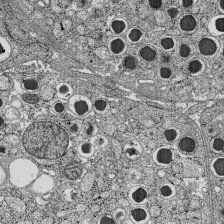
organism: C57BL Mouse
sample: Pancreatic islet